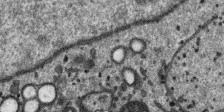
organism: Human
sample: Lung epithelial cells infected with SARS-CoV-2